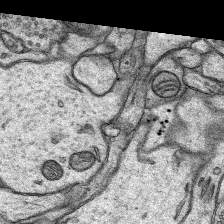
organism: Rat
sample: Hippocampus